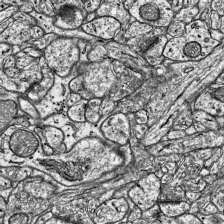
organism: Mouse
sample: Visual Cortex